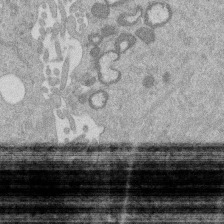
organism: Mouse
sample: Dividing mouse embryo 1 cell stage